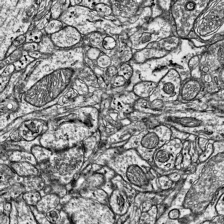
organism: Mouse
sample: Visual Cortex